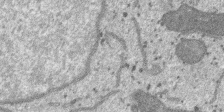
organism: Human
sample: Lung epithelial cells infected with SARS-CoV-2